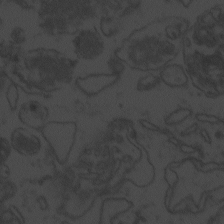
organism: Zebrafish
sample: Macrophage infected with Toxoplasma gondii